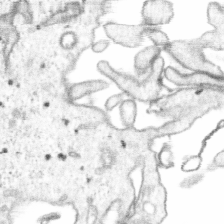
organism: Human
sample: HeLa cells